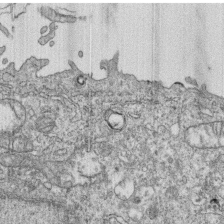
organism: Human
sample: HeLa cell HIV synapse